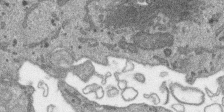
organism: Human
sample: Lung epithelial cells infected with SARS-CoV-2